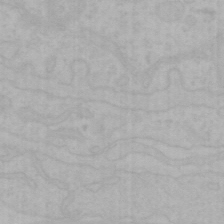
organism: Mouse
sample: Choroid plexus